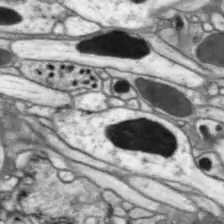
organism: Drosophila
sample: Optic lobe